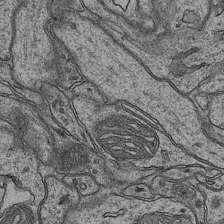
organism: Mouse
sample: CA1 Hippocampus